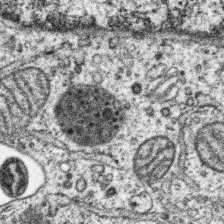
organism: Human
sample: HeLa cells